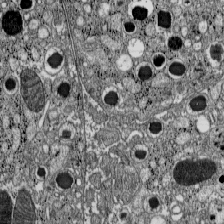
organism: C57BL Mouse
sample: Pancreatic islet